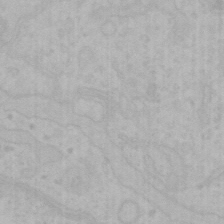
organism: Mouse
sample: Choroid plexus